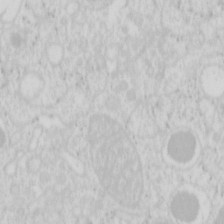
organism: Mouse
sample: Pancreas